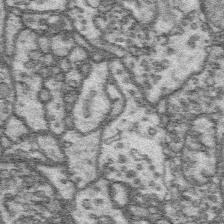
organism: Platynereis dumerilii